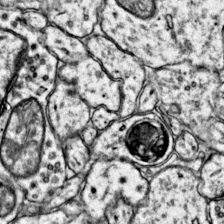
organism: Mouse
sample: Primary visual cortex